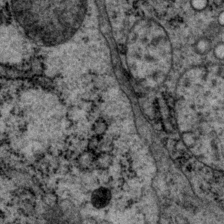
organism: P. pacificus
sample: Pharynx